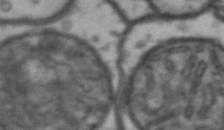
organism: Drosophila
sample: Brain